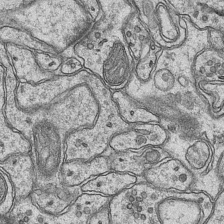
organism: Mouse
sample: CA1 Hippocampus